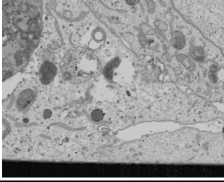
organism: Human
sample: Mitochondria in U2OS cells